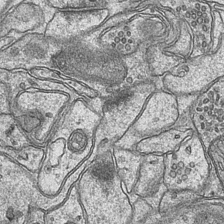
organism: Mouse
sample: CA1 Hippocampus